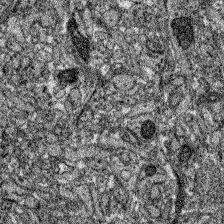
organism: Zebrafish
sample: Larval olfactory bulb